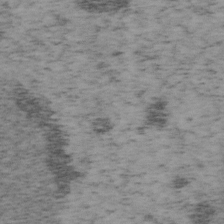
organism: Mouse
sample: OT-I killer T cells with ID8 ovarian cancer cells